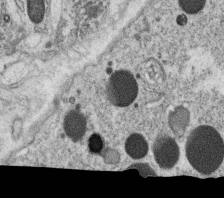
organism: C. elegans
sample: C. elegans oocyte; sperm cells